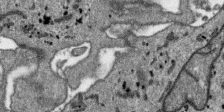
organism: Human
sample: Lung epithelial cells, uninfected (mock) control